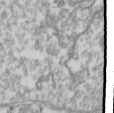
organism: Drosophila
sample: Cell division; meiosis; drosophila spermatocytes